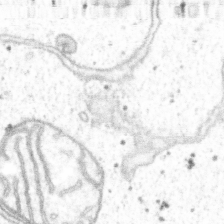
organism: Human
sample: HeLa cells